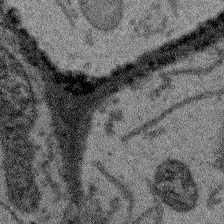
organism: Arabidopsis thaliana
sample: Root tip